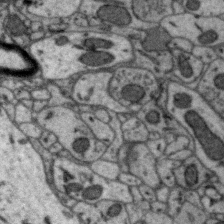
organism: Zebra finch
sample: Brain